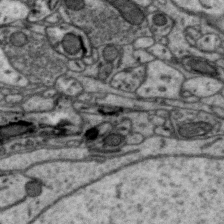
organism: Zebra finch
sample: Brain